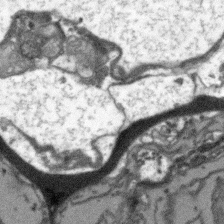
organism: Arabidopsis thaliana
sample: Root tip